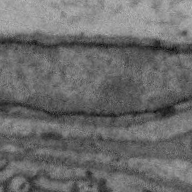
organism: Zebra finch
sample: Brain